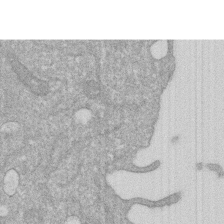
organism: Human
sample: HIV infected U937 cells